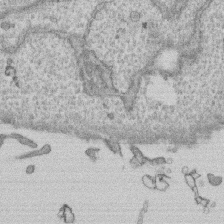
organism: Human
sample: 1205lu cells